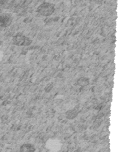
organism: C. elegans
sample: C. elegans embryo early stage